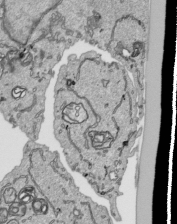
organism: Human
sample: Mitochondria in HCT116 cells